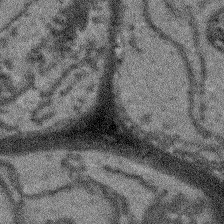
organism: Arabidopsis thaliana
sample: Root tip